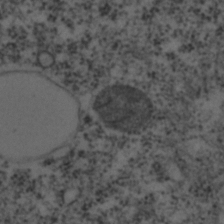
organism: C. elegans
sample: C. elegans embryo